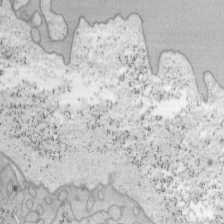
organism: Mouse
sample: OT-I killer T cells with ID8 ovarian cancer cells